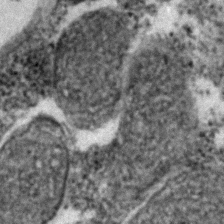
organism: Zebrafish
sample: Zebrafish embryo